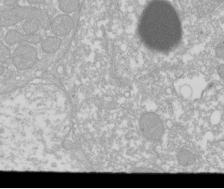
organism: Xenopus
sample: Cilia; centrioles in frog embryo cells